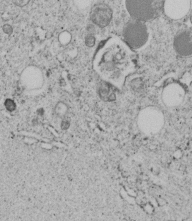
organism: C. elegans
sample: C. elegans embryo early stage